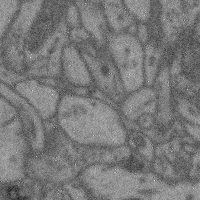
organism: Mouse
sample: Cerebral cortex